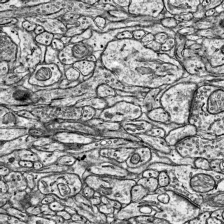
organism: Mouse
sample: Visual Cortex